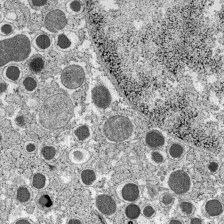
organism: C57BL Mouse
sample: Pancreatic islet